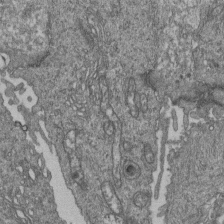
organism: Human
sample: Retinal organoid Rod and Cone cells